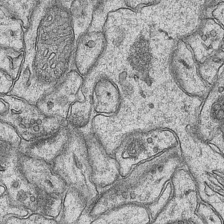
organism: Mouse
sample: CA1 Hippocampus